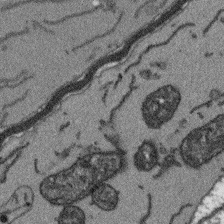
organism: Arabidopsis thaliana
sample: Root tip